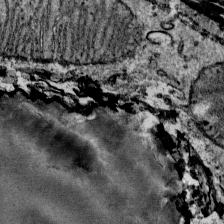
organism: Mouse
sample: Mouse Salivary gland